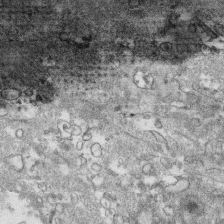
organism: Human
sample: CRL-1474